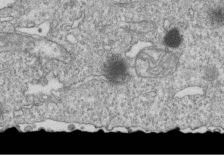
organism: Human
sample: HeLa cell HIV synapse